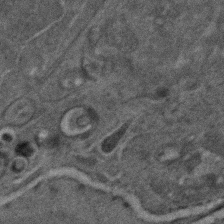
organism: C. elegans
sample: C. elegans embryo